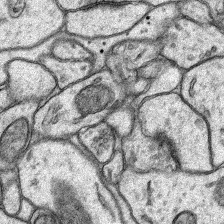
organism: Rat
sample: Hippocampus